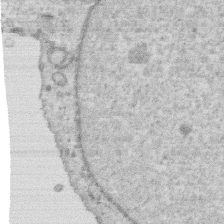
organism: Human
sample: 1205lu cells